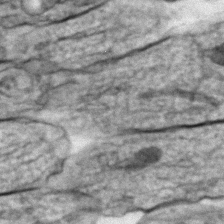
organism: Zebrafish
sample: Zebrafish embryo